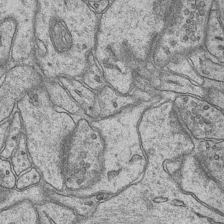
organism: Mouse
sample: CA1 Hippocampus